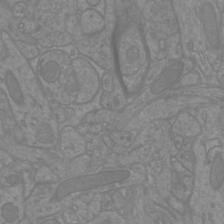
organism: Mouse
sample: Cortical neurons